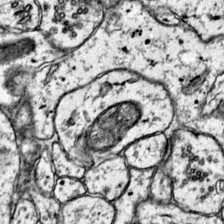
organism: Mouse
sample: Primary visual cortex